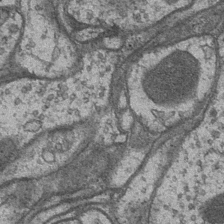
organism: Drosophila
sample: Optic medulla